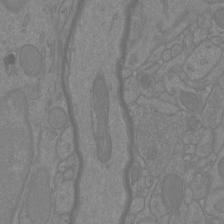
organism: Mouse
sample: Cortical neurons